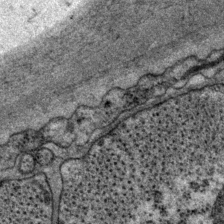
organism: P. pacificus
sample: Pharynx